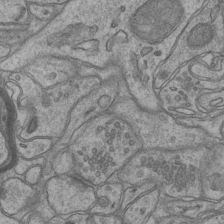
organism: Mouse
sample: CA1 Hippocampus